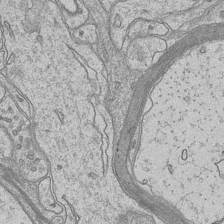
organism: Mouse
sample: CA1 Hippocampus